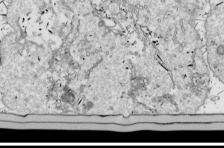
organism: Drosophila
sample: Cell division; meiosis; drosophila spermatocytes